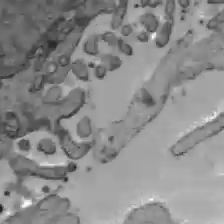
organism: C57BL Mouse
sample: Liver